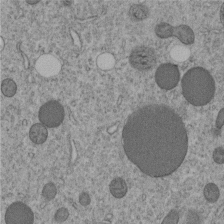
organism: C. elegans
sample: C. elegans embryo early stage